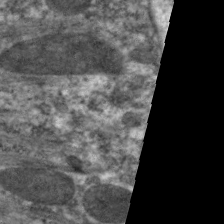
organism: C. elegans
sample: Pharynx